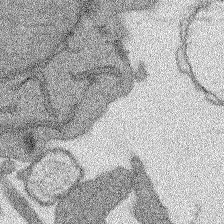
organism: Human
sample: HeLa cells